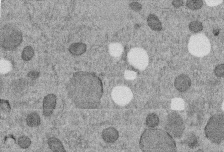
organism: C. elegans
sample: C. elegans embryo early stage